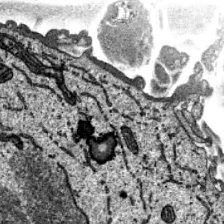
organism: Human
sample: HeLa cells